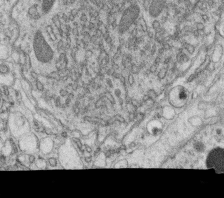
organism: C. elegans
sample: C. elegans oocyte; sperm cells